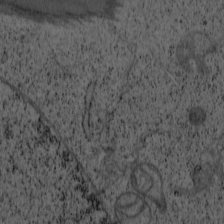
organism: African green monkey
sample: COS-7 cells